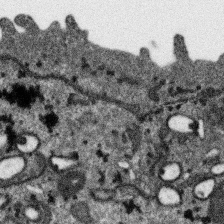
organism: Human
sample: Lung epithelial cells infected with SARS-CoV-2